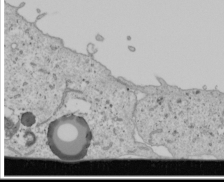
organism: Human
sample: Mitochondria in U2OS cells